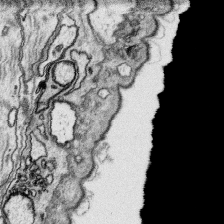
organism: Platynereis dumerilii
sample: Parapodia